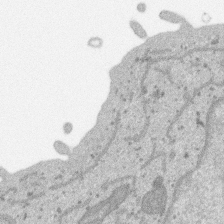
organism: Human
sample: Lung epithelial cells infected with SARS-CoV-2